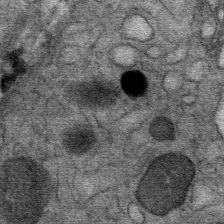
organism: Mouse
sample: Mouse Salivary gland